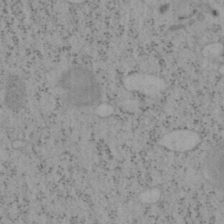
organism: Mouse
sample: OT-I killer T cells with ID8 ovarian cancer cells